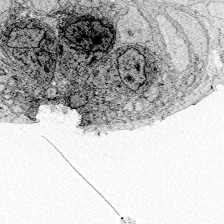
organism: Zebrafish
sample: Whole-Brain